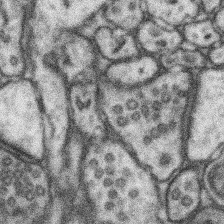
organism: Mouse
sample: Somatosensory cortex neuropil